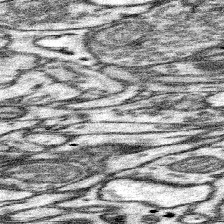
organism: Mouse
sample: Somatosensory cortex neuropil